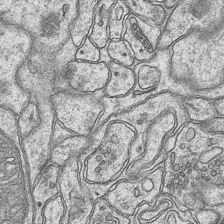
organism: Mouse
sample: CA1 Hippocampus